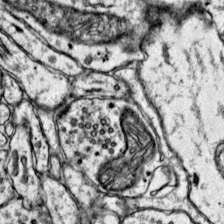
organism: Mouse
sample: Primary visual cortex